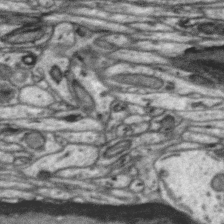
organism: Zebra finch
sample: Brain